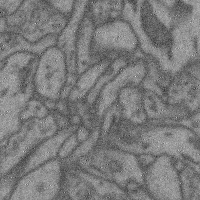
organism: Mouse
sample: Cerebral cortex